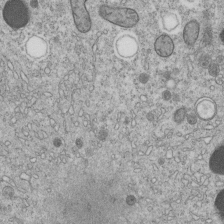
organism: C. elegans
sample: C. elegans embryo early stage